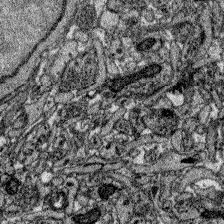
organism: Zebrafish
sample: Larval olfactory bulb